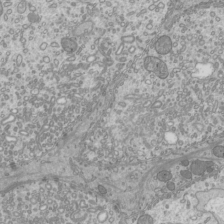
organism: Mouse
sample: Cilia; mouse epididymis